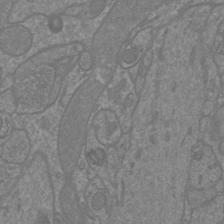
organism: Mouse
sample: Cortical neurons